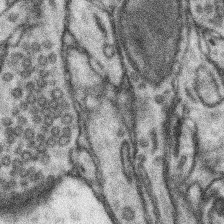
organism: Mouse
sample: Somatosensory cortex neuropil